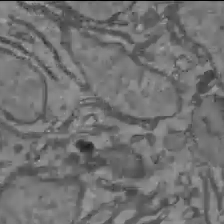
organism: C57BL Mouse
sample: Liver